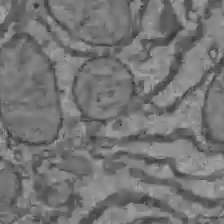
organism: C57BL Mouse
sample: Liver